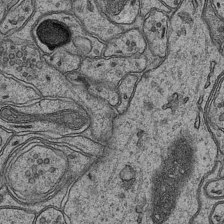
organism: Mouse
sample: CA1 Hippocampus